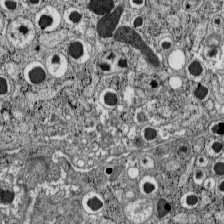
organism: C57BL Mouse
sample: Pancreatic islet